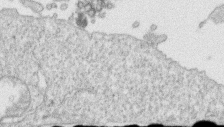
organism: Human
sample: HeLa cell HIV synapse